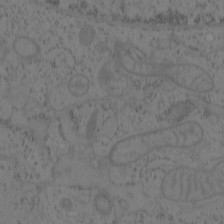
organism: Human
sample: HeLa cells